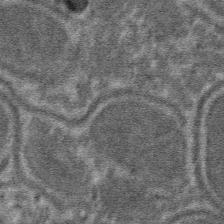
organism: Mouse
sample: Mouse hepatocytes